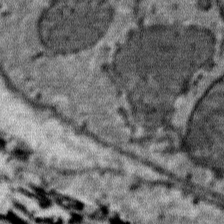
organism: Mouse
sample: Mouse Salivary gland